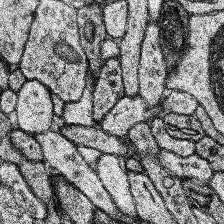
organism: Human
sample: Temporal Lobe